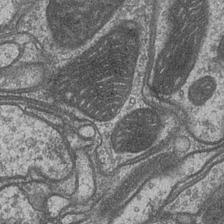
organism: Drosophila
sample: Optic medulla